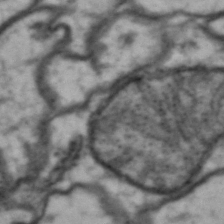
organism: Drosophila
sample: Brain